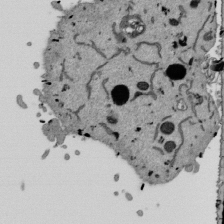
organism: Mouse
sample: ED-1 cell nuclei; centrioles